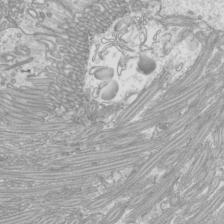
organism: Mouse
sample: Cilia; mouse epididymis